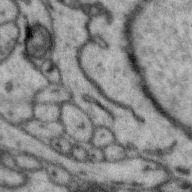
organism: Zebra finch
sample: Brain